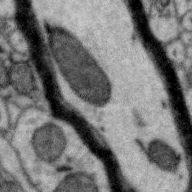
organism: Zebra finch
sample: Brain